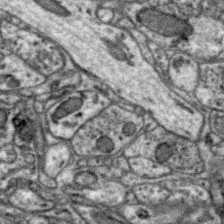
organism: Zebra finch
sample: Brain